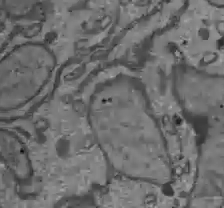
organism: C57BL Mouse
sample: Liver